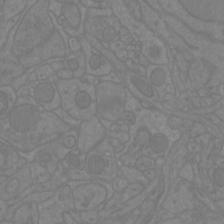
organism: Mouse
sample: Cortical neurons